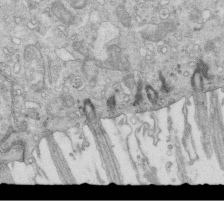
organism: Mouse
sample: Multiciliated cells